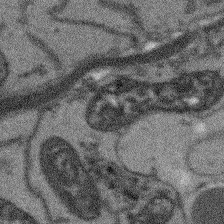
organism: Arabidopsis thaliana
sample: Root tip